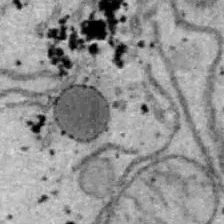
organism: Mouse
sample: Liver from an obese (ob/ob) mouse